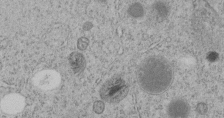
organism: C. elegans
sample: C. elegans embryo early stage